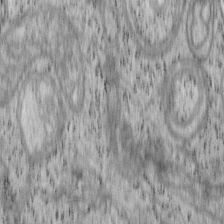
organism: Human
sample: HeLa cells